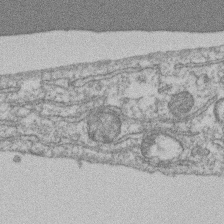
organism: Mouse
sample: T cell stromal cell synapse